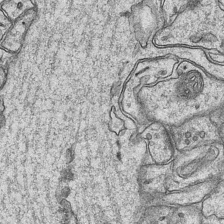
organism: Mouse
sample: CA1 Hippocampus